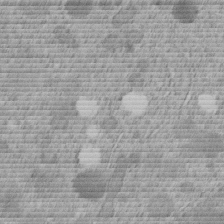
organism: C. elegans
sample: C. elegans embryo early stage